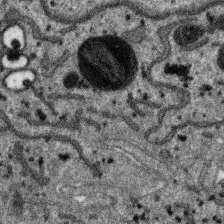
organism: Human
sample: Lung epithelial cells infected with SARS-CoV-2